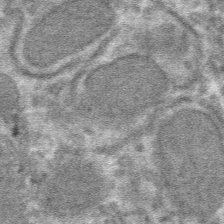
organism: Mouse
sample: Mouse hepatocytes